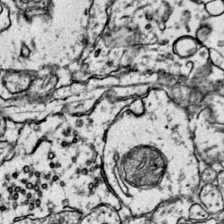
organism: Mouse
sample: Primary visual cortex